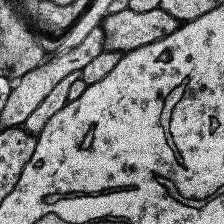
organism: Human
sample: Temporal Lobe